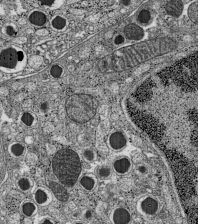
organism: C57BL Mouse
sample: Pancreatic islet